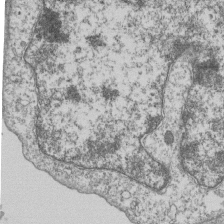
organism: Human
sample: MDA-MB-231 cells